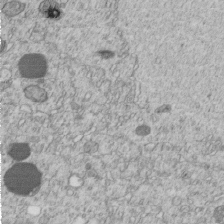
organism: C. elegans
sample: C. elegans embryo early stage